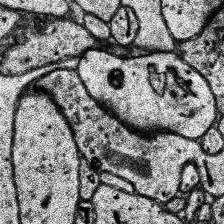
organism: Human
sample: Temporal Lobe